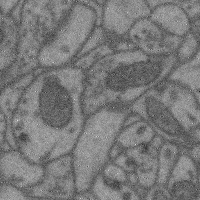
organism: Mouse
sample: Cerebral cortex